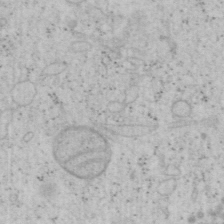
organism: Human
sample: HeLa cells